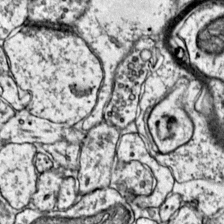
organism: Mouse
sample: Primary visual cortex